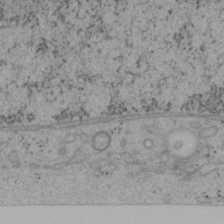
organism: Human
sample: HeLa cells